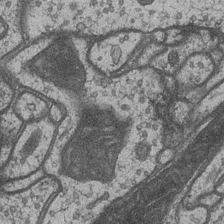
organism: Drosophila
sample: Optic medulla